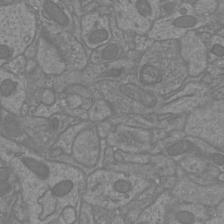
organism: Mouse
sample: Cortical neurons